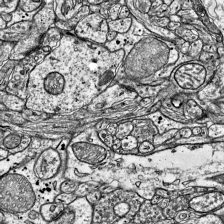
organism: Mouse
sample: Visual Cortex